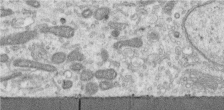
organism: Human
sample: Centriole in RPE cells